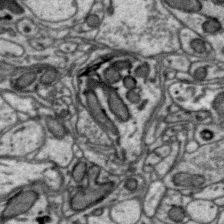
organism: Zebra finch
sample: Brain